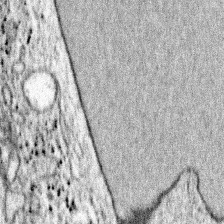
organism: Human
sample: HeLa cells